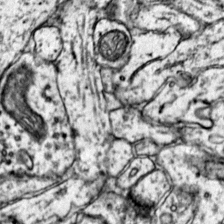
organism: Mouse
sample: Primary visual cortex